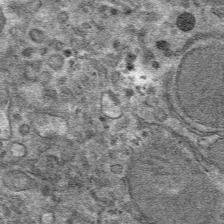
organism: Mouse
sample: Mouse hepatocytes